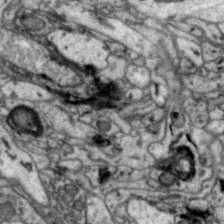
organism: Zebra finch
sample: Brain